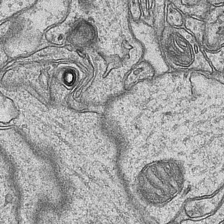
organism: Mouse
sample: CA1 Hippocampus